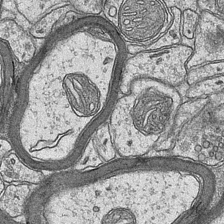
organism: Mouse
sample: CA1 Hippocampus